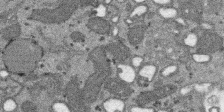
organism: Human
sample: Lung epithelial cells infected with SARS-CoV-2